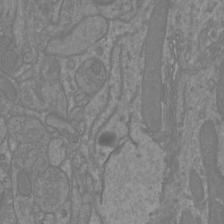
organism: Mouse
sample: Cortical neurons